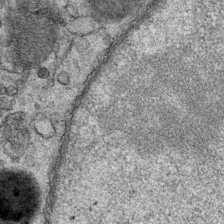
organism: Mouse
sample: Mouse Salivary gland